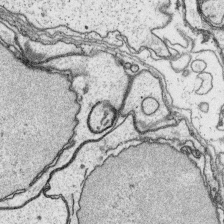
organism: Platynereis dumerilii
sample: Parapodia